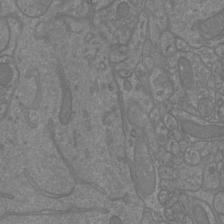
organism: Mouse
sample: Cortical neurons